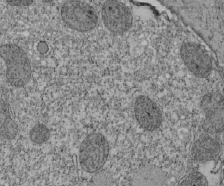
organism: Tetrahymena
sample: Cilia in tetrahymena